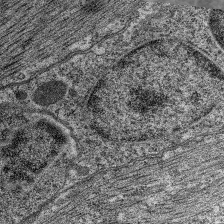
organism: C. elegans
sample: Pharynx